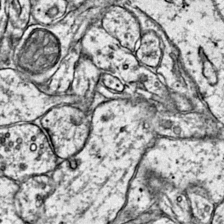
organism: Mouse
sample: Primary visual cortex